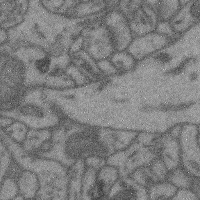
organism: Mouse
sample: Cerebral cortex